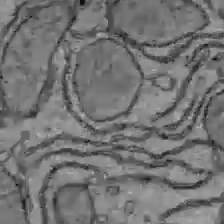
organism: C57BL Mouse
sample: Liver